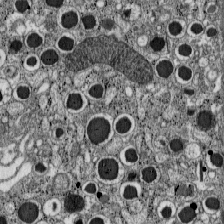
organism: C57BL Mouse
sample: Pancreatic islet